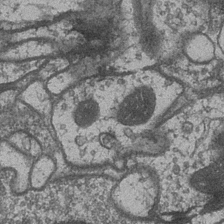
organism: Drosophila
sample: Optic medulla